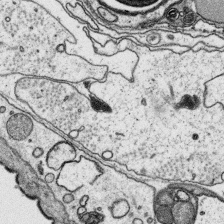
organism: Platynereis dumerilii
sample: Parapodia